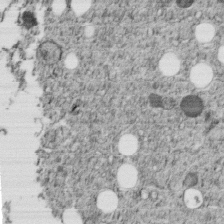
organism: C. elegans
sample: C. elegans embryo early stage